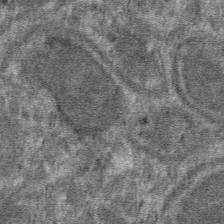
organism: Mouse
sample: Mouse hepatocytes